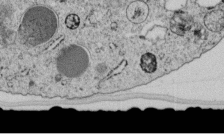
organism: C. elegans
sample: C. elegans embryo early stage